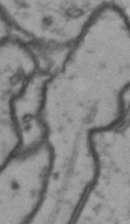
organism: Drosophila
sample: Brain